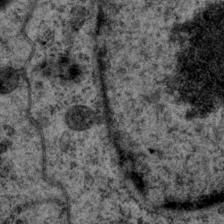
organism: P. pacificus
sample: Pharynx